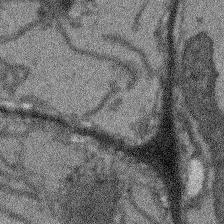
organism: Arabidopsis thaliana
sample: Root tip